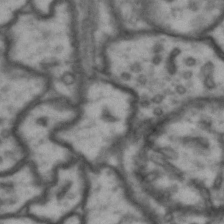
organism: Drosophila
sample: Brain